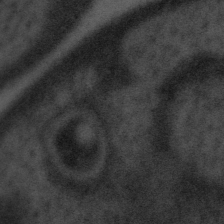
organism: Tuwongella immobilis